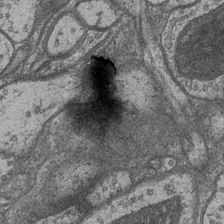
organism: Drosophila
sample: Optic medulla